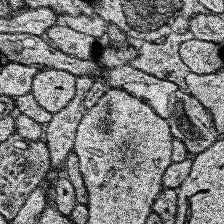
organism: Human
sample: Temporal Lobe